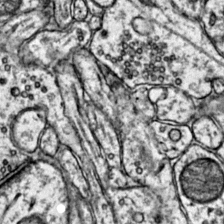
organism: Mouse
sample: Primary visual cortex